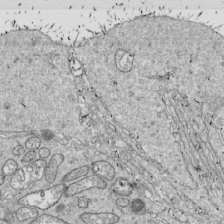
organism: Drosophila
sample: Cell division; meiosis; drosophila spermatocytes